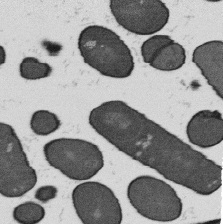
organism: B. subtilis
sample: Bacterial spore